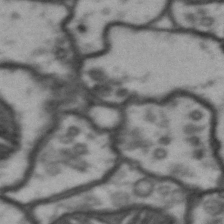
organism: Drosophila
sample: Brain